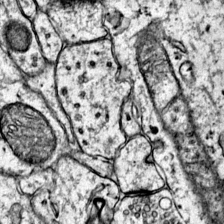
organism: Mouse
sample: Primary visual cortex